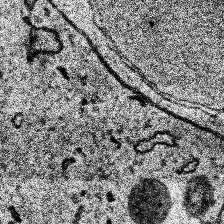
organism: Human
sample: Temporal Lobe